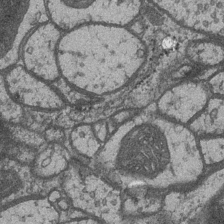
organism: Drosophila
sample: Optic medulla